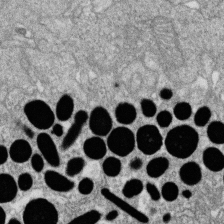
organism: Zebrafish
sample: Cilia; retinal pigment epithelium